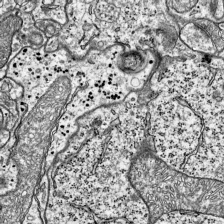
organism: Mouse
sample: Visual Cortex